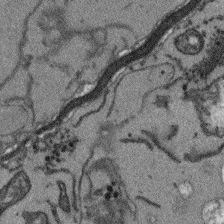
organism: Arabidopsis thaliana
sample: Root tip